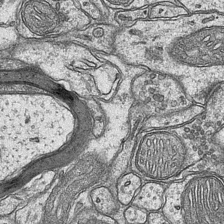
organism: Mouse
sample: CA1 Hippocampus